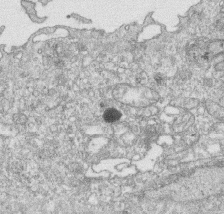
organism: Human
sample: HeLa cell HIV synapse